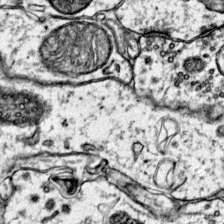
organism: Mouse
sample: Primary visual cortex